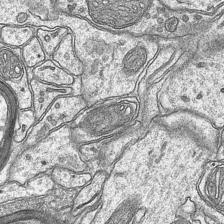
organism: Mouse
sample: CA1 Hippocampus